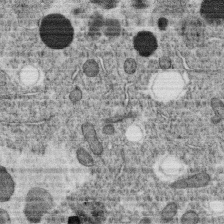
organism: C. elegans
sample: C. elegans oocyte; sperm cells